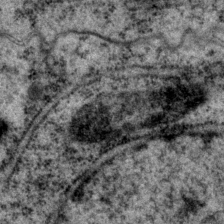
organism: P. pacificus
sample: Pharynx